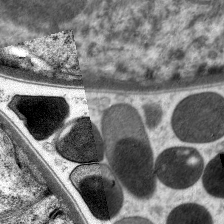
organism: C. elegans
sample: Pharynx